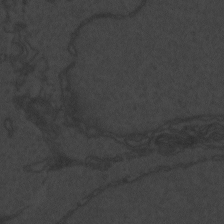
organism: Zebrafish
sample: Macrophage infected with Toxoplasma gondii